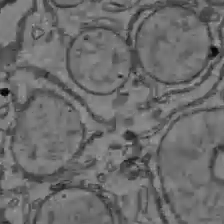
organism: C57BL Mouse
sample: Liver